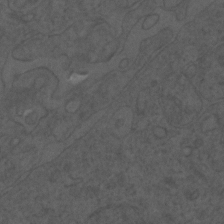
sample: Trachea